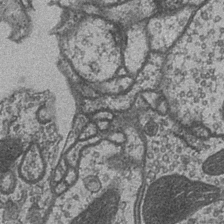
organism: Drosophila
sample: Optic medulla